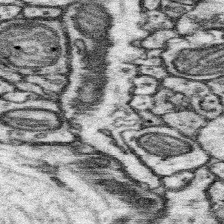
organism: Mouse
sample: Somatosensory cortex neuropil